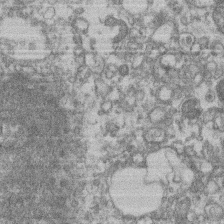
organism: Mouse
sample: T cell stromal cell synapse